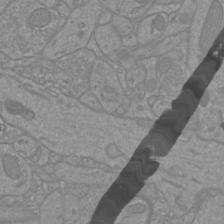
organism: Mouse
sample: Cortical neurons